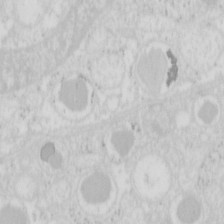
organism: Mouse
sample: Pancreas